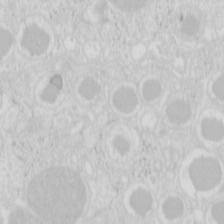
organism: Mouse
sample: Pancreas